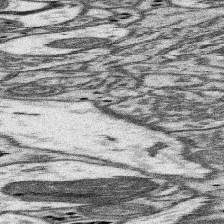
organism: Mouse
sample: Somatosensory cortex neuropil